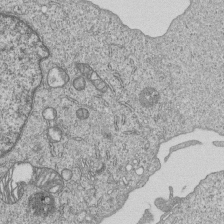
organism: Human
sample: MDA-MB-231 cells